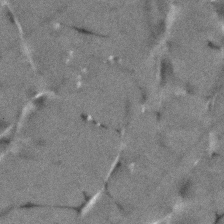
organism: Human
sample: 1205lu cells